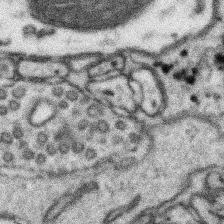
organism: Mouse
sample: Somatosensory cortex neuropil